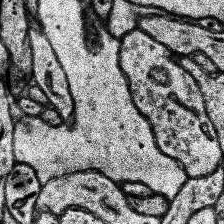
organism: Human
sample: Temporal Lobe